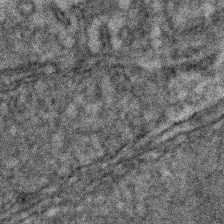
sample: Kidney